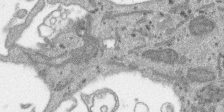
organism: Human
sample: Lung epithelial cells infected with SARS-CoV-2